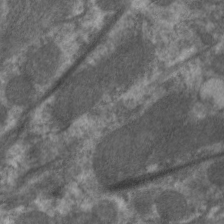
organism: C. elegans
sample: Pharynx